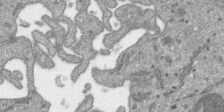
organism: Human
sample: Lung epithelial cells infected with SARS-CoV-2